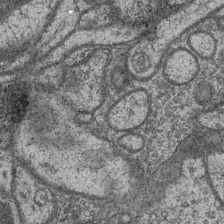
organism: Drosophila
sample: Optic medulla